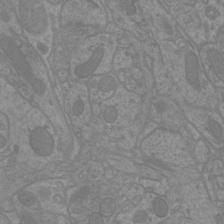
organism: Mouse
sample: Cortical neurons